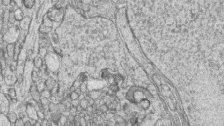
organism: Zebrafish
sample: synaptic ribbons in rod cells and cone cells